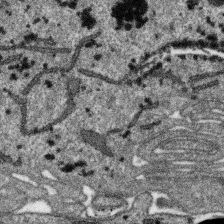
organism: Human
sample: Lung epithelial cells infected with SARS-CoV-2